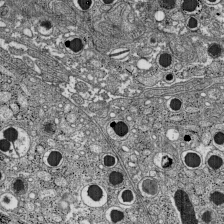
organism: C57BL Mouse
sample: Pancreatic islet